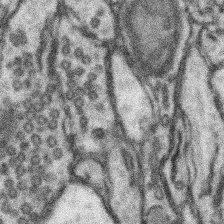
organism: Mouse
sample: Somatosensory cortex neuropil